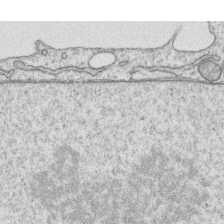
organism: Human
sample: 1205lu cells